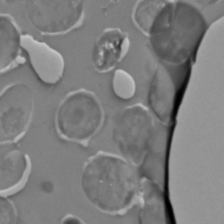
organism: C. elegans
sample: C. elegans embryo